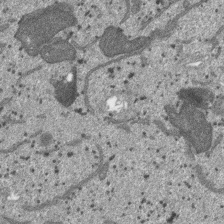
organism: Human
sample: Lung epithelial cells infected with SARS-CoV-2